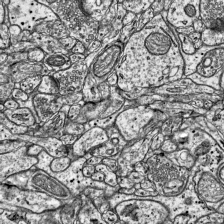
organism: Mouse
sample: Visual Cortex